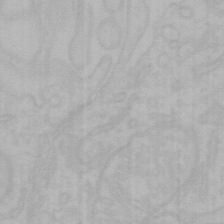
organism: Mouse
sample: Choroid plexus